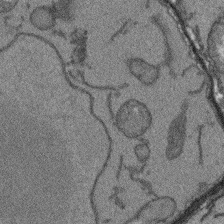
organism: Arabidopsis thaliana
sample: Root tip